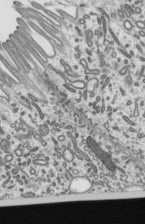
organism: Mouse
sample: Mouse epididymis efferent ductule cilia